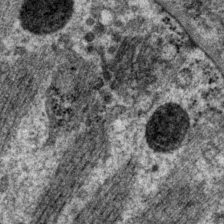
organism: P. pacificus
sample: Pharynx